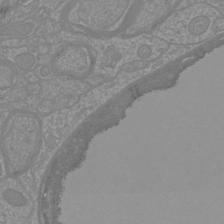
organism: Mouse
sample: Cortical neurons